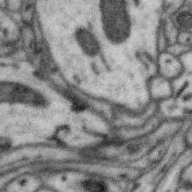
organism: Zebra finch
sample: Brain